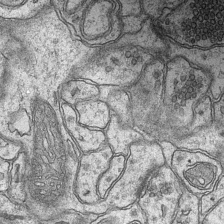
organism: Mouse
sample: CA1 Hippocampus